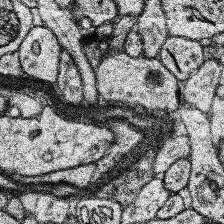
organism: Human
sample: Temporal Lobe